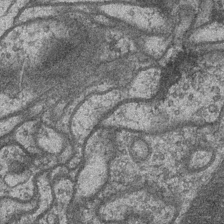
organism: Drosophila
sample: Optic medulla